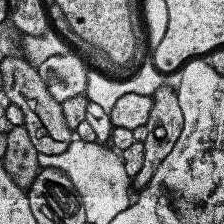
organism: Human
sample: Temporal Lobe